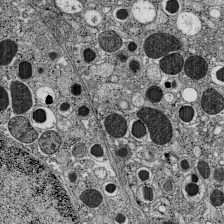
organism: C57BL Mouse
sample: Pancreatic islet